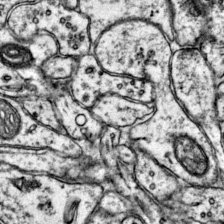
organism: Mouse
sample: Primary visual cortex